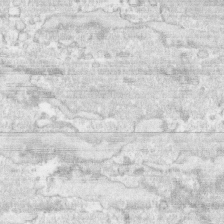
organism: Human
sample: CRL-1474